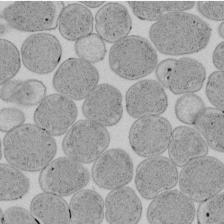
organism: E. coli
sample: Bacterial nucleoid